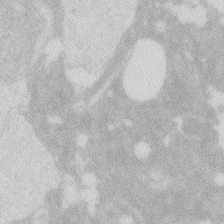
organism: Zebrafish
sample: Macrophage